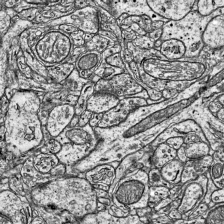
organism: Mouse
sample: Visual Cortex